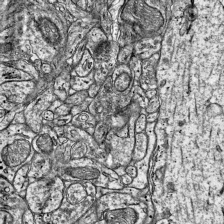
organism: Mouse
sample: Visual Cortex